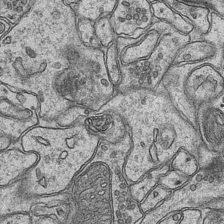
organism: Mouse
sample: CA1 Hippocampus